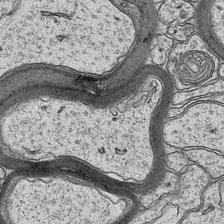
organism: Mouse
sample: CA1 Hippocampus